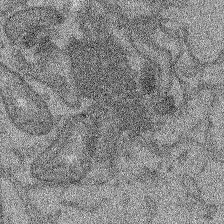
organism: Human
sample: HeLa cells